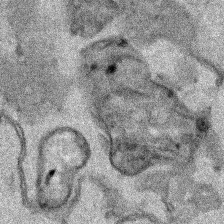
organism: Human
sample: Mitochondria in HCT116 cells